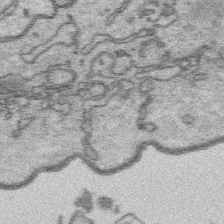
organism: Platynereis dumerilii